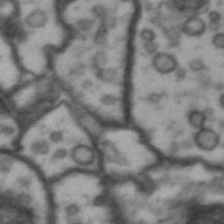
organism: Drosophila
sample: Brain